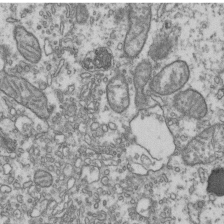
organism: Human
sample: Activated Jurkat CD4+ T cells